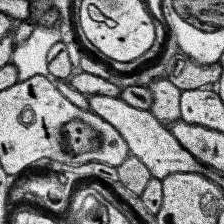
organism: Human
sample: Temporal Lobe